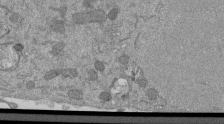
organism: Mouse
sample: ED-1 cell nuclei; centrioles